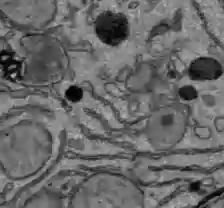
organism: C57BL Mouse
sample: Liver